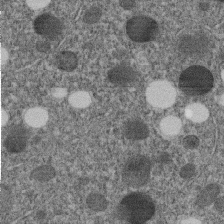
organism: C. elegans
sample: C. elegans embryo early stage